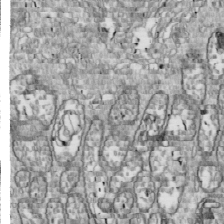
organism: Drosophila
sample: Cell division; meiosis; drosophila spermatocytes